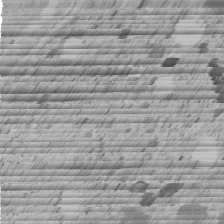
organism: C. elegans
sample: C. elegans embryo early stage